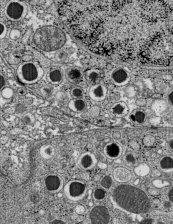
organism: C57BL Mouse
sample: Pancreatic islet